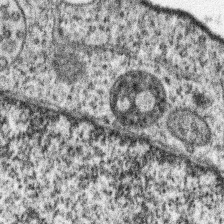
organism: Human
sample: HeLa cells